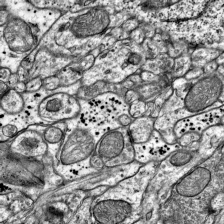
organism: Mouse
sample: Visual Cortex